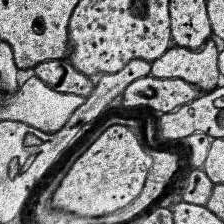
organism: Human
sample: Temporal Lobe